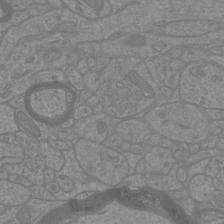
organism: Mouse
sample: Cortical neurons